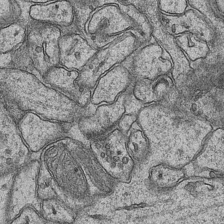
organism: Mouse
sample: CA1 Hippocampus